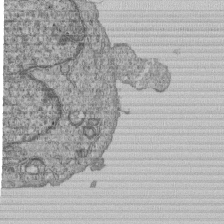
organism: Human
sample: MDA-MB-231 cells